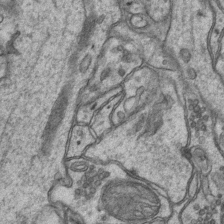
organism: Mouse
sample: CA1 Hippocampus